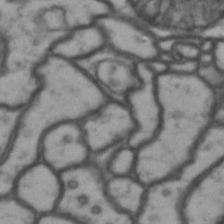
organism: Drosophila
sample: Brain